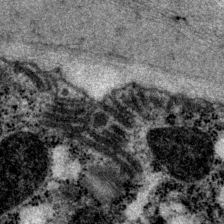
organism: P. pacificus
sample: Pharynx